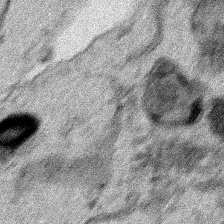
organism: Human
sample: Mitochondria in HCT116 cells